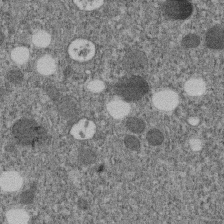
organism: C. elegans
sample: C. elegans embryo early stage